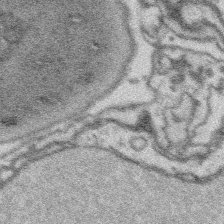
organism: Platynereis dumerilii